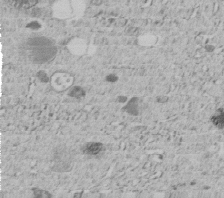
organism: C. elegans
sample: C. elegans embryo early stage